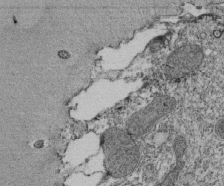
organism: Tetrahymena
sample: Cilia in tetrahymena